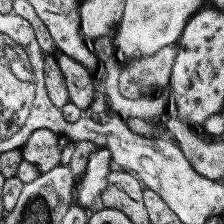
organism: Human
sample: Temporal Lobe